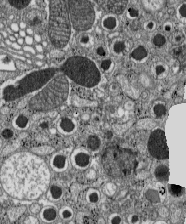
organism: C57BL Mouse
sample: Pancreatic islet